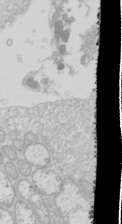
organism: Drosophila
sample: Cell division; meiosis; drosophila spermatocytes